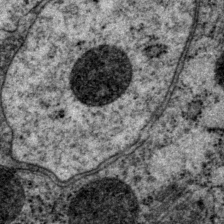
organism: P. pacificus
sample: Pharynx